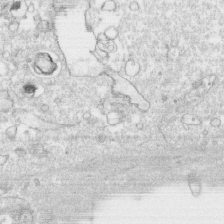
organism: Human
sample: CRL-1474